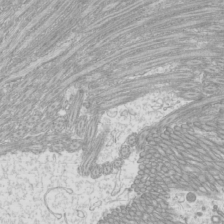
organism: Mouse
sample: Cilia; mouse epididymis